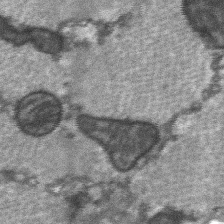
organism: C57BL Mouse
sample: Soleus